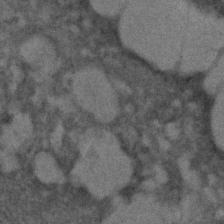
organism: C. elegans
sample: C. elegans embryo